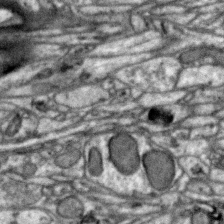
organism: Zebra finch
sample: Brain